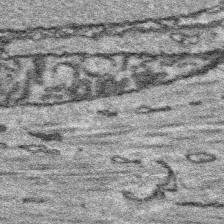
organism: Platynereis dumerilii